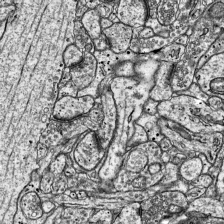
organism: Mouse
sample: Visual Cortex